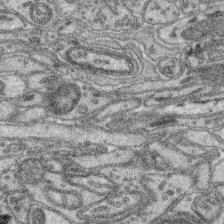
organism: Mouse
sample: Retina